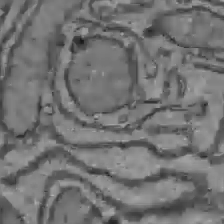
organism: C57BL Mouse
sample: Liver